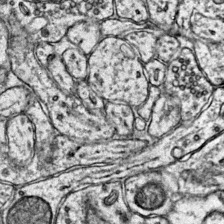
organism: Mouse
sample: Primary visual cortex